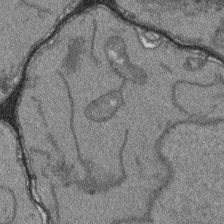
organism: Arabidopsis thaliana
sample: Root tip